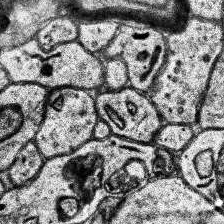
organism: Human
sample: Temporal Lobe